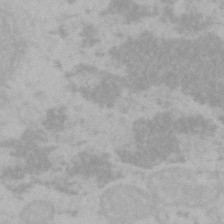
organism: Mouse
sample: Choroid plexus